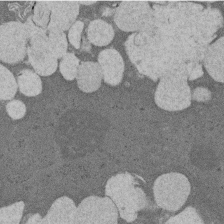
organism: Rat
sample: Salivary granule